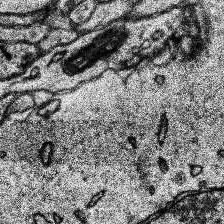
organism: Human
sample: Temporal Lobe